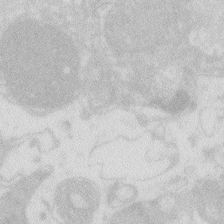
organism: Zebrafish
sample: Macrophage